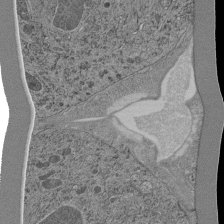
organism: C. elegans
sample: C. elegans pharynx